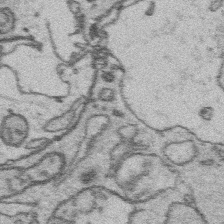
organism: Platynereis dumerilii